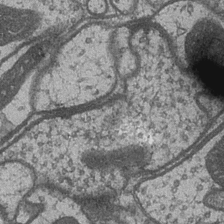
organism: Drosophila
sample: Optic medulla